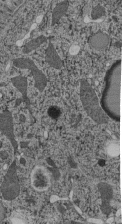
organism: C. elegans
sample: C. elegans pharynx